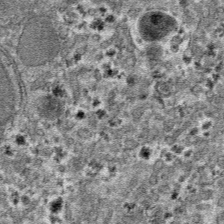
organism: Mouse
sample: Mouse hepatocytes